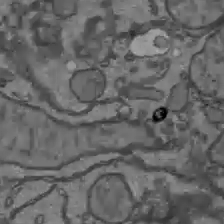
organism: C57BL Mouse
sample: Liver